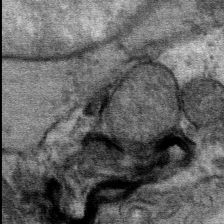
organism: Mouse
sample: Mouse Salivary gland